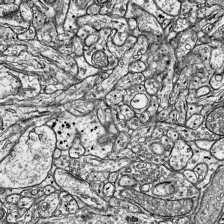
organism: Mouse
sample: Visual Cortex